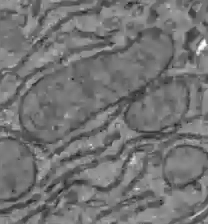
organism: C57BL Mouse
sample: Liver